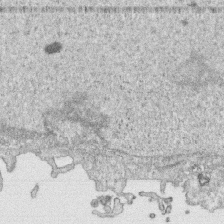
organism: Human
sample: HeLa cell HIV synapse